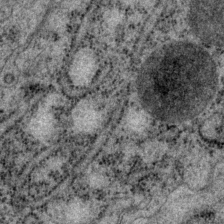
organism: P. pacificus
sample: Pharynx